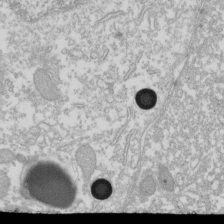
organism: Xenopus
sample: Cilia; centrioles in frog embryo cells